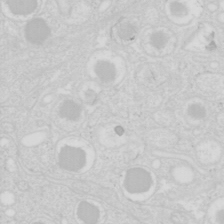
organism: Mouse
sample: Pancreas